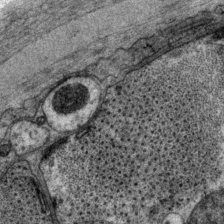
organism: P. pacificus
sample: Pharynx